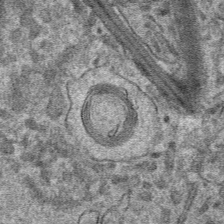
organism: Mouse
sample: Mouse hepatocytes